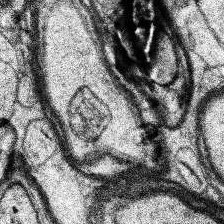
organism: Human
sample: Temporal Lobe